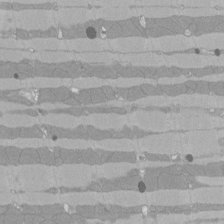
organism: Rat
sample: Left ventricle